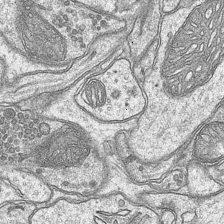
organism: Mouse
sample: CA1 Hippocampus